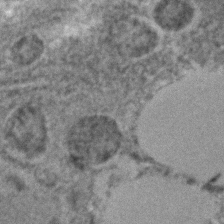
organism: C. elegans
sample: C. elegans embryo